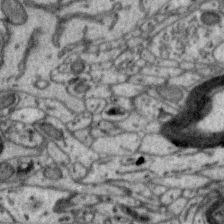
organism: Zebra finch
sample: Brain